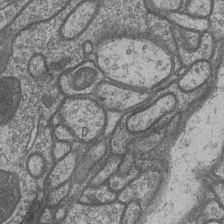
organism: Drosophila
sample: Optic medulla